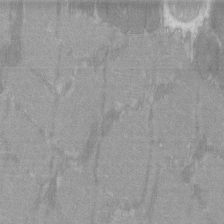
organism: C57BL Mouse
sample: Tibialis anterior muscle cell